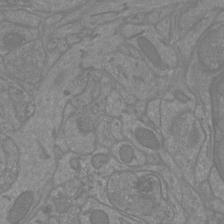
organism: Mouse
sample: Cortical neurons